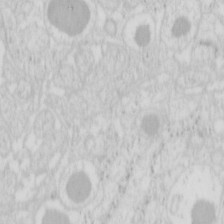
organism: Mouse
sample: Pancreas